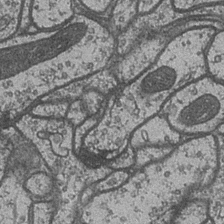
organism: Drosophila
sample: Optic medulla